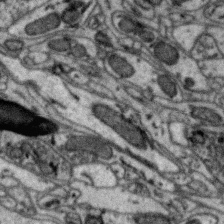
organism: Zebra finch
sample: Brain